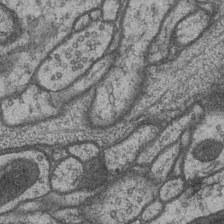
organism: Drosophila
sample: Optic medulla